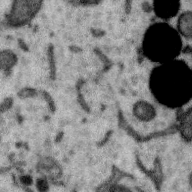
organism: Zebra finch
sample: Brain